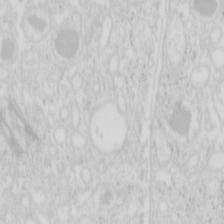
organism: Mouse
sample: Pancreas